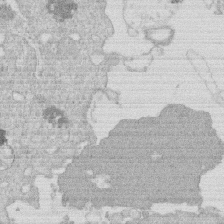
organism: Human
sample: Macrophage cells